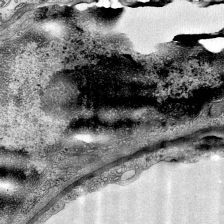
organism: Mouse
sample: Visual Cortex